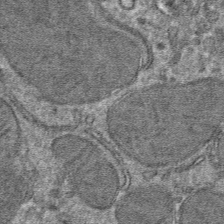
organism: Mouse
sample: Mouse hepatocytes